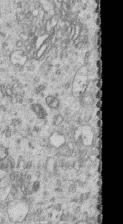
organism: Human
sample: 1205lu cells